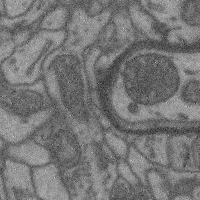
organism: Mouse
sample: Cerebral cortex